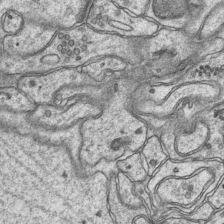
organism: Mouse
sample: CA1 Hippocampus